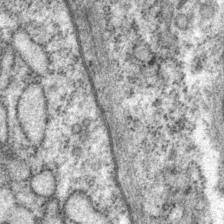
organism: P. pacificus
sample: Pharynx